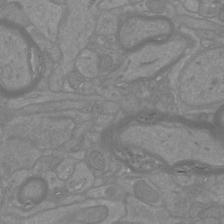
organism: Mouse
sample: Cortical neurons